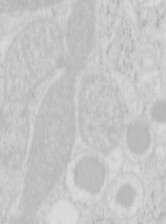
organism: Mouse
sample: Pancreas